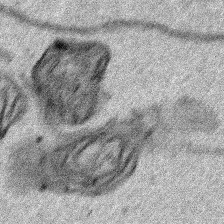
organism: Human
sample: Mitochondria in HCT116 cells